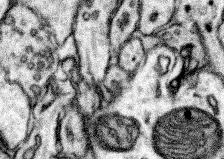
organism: Mouse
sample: Somatosensory cortex neuropil